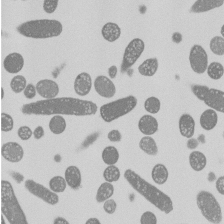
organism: E. coli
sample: Bacterial nucleoid